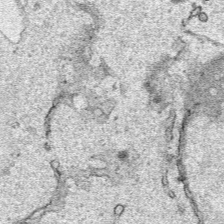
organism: Human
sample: Mitochondria in HCT116 cells